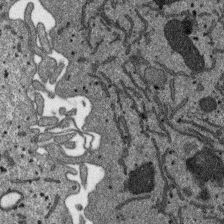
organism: Human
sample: Lung epithelial cells infected with SARS-CoV-2